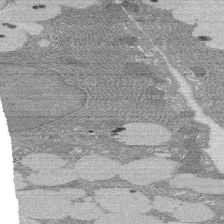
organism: Rat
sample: Salivary granule